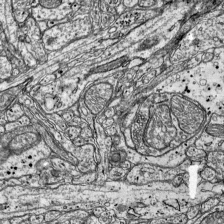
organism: Mouse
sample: Visual Cortex